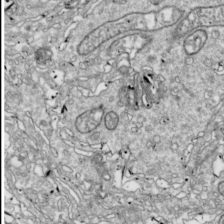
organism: Drosophila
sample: Cell division; meiosis; drosophila spermatocytes